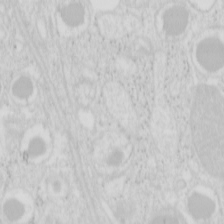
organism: Mouse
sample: Pancreas